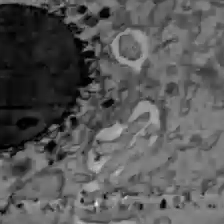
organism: C57BL Mouse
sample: Liver